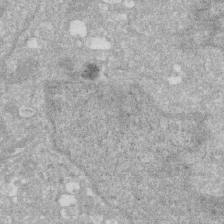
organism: Human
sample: HIV infected U937 cells